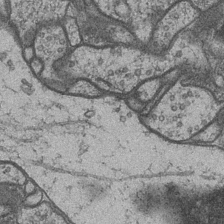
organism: Drosophila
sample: Optic medulla